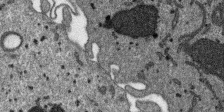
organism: Human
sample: Lung epithelial cells infected with SARS-CoV-2